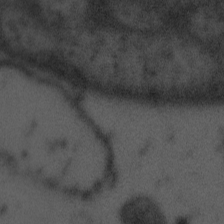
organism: Tuwongella immobilis